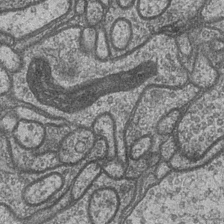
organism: Drosophila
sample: Optic medulla